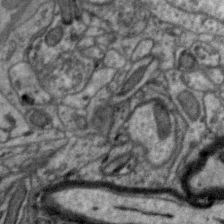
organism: Zebra finch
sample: Brain